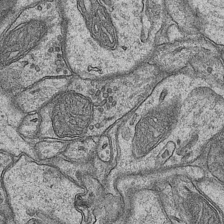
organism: Mouse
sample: CA1 Hippocampus